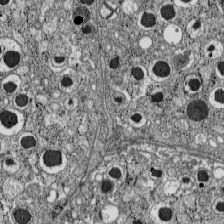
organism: C57BL Mouse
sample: Pancreatic islet